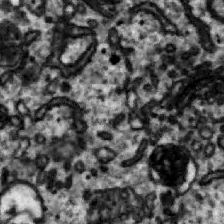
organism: Human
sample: HeLa cells